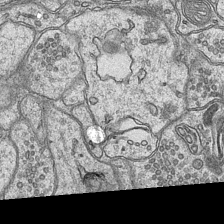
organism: Mouse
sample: CA1 Hippocampus